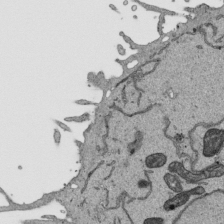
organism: Human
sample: Mitochondria in HCT116 cells